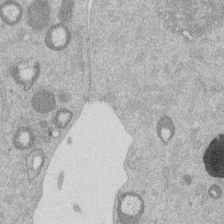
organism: Mouse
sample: Dividing mouse embryo 1 cell stage